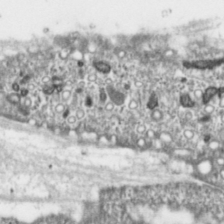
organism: Toxoplasma gondii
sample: Parasites in a vacuole inside a host cell